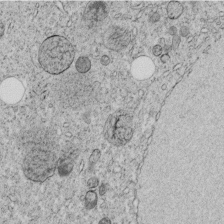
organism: C. elegans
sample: C. elegans embryo early stage